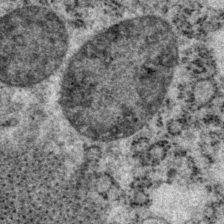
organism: P. pacificus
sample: Pharynx